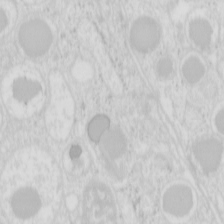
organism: Mouse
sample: Pancreas